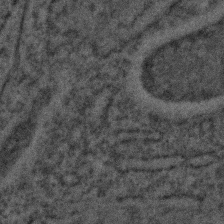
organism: C. elegans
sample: C. elegans embryo